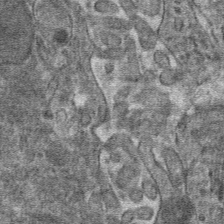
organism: Mouse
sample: Mouse hepatocytes